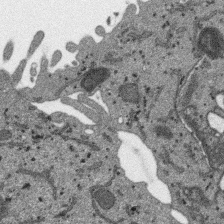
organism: Human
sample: Lung epithelial cells infected with SARS-CoV-2